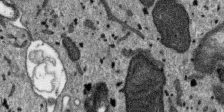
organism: Human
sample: Lung epithelial cells, uninfected (mock) control